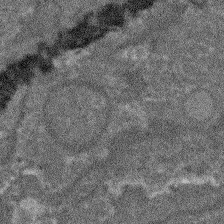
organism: Arabidopsis thaliana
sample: Root tip